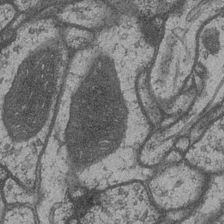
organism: Drosophila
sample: Optic medulla